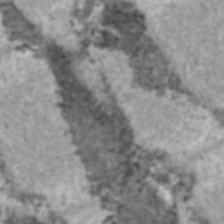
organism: C57BL Mouse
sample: Heart